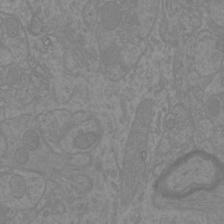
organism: Mouse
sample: Cortical neurons